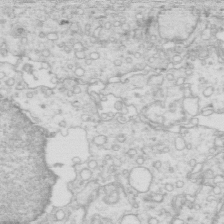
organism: Mouse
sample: Multiciliated cells